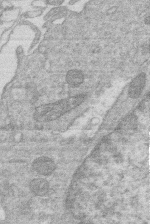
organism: Human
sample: Macrophage cells